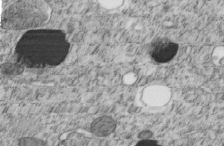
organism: C. elegans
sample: C. elegans embryo early stage